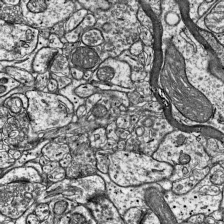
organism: Mouse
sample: Visual Cortex